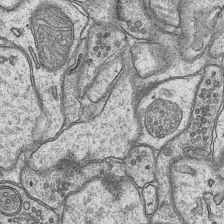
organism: Mouse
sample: CA1 Hippocampus